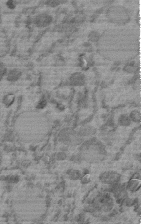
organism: C. elegans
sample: C. elegans embryo early stage